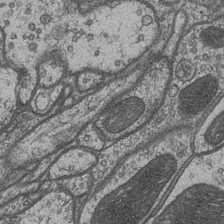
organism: Drosophila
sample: Optic medulla